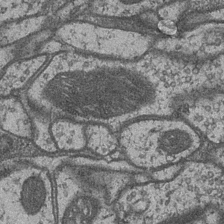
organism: Drosophila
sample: Optic medulla